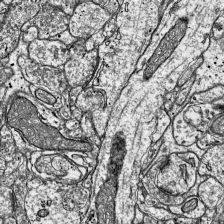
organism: Mouse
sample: Visual Cortex